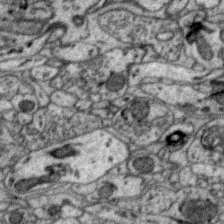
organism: Zebra finch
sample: Brain